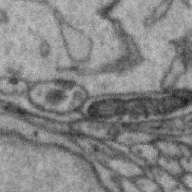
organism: Zebra finch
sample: Brain